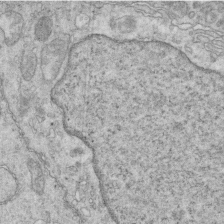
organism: Mouse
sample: Multiciliated cells